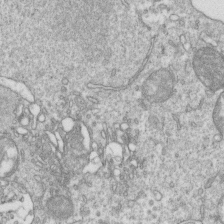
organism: Mouse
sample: Activated OT-1 CD8+ T cells